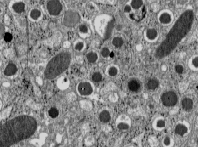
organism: C57BL Mouse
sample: Pancreatic islet